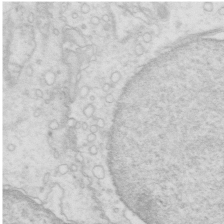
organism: Mouse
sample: Multiciliated cells